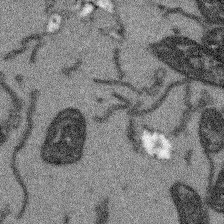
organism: Arabidopsis thaliana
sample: Root tip